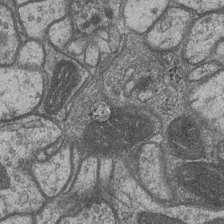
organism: Drosophila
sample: Optic medulla